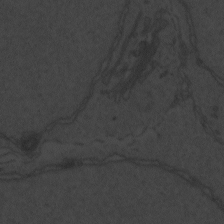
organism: Zebrafish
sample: Macrophage infected with Toxoplasma gondii